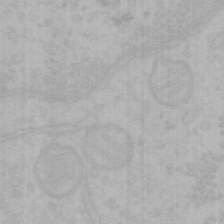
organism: Mouse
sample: Choroid plexus